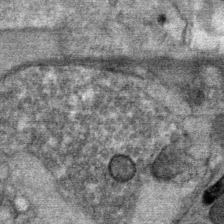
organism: Mouse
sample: Mouse Salivary gland